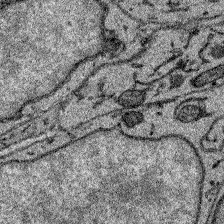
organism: Zebrafish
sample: Larval olfactory bulb